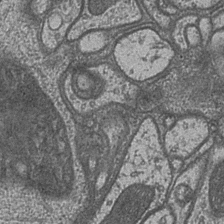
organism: Drosophila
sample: Optic medulla